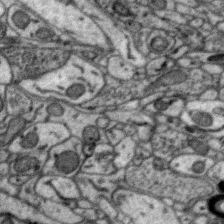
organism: Zebra finch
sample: Brain